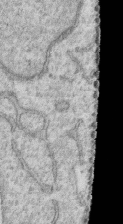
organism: Human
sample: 1205lu cells